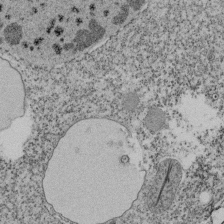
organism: Tetrahymena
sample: Cilia in tetrahymena